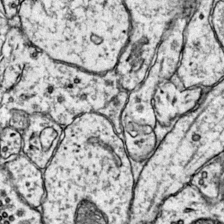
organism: Mouse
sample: Primary visual cortex